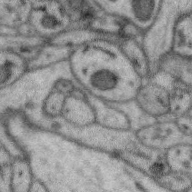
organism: Zebra finch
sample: Brain